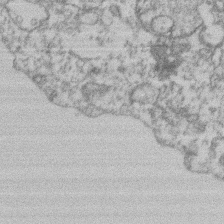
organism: Mouse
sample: T cell stromal cell synapse